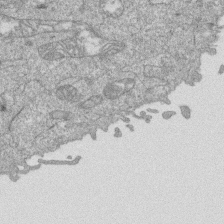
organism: Human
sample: HeLa cell HIV synapse